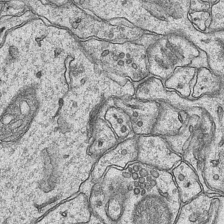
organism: Mouse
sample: CA1 Hippocampus